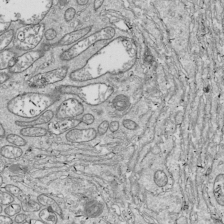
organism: Drosophila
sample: Cell division; meiosis; drosophila spermatocytes